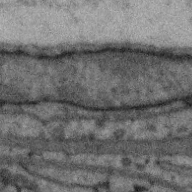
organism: Zebra finch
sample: Brain